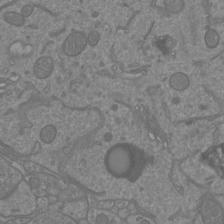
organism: Mouse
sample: Cortical neurons